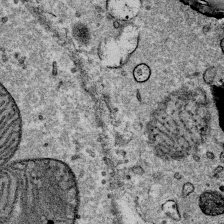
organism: Mouse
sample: Mouse Salivary gland